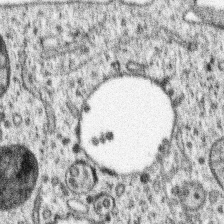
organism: Human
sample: HeLa cells